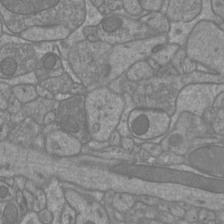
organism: Mouse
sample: Cortical neurons